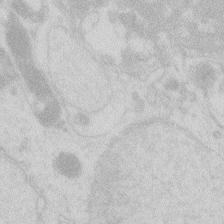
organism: Zebrafish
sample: Macrophage